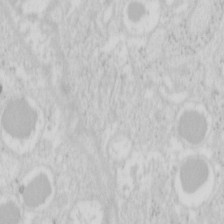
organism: Mouse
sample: Pancreas